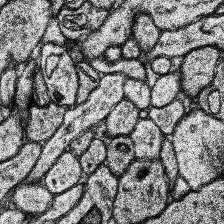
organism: Human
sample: Temporal Lobe